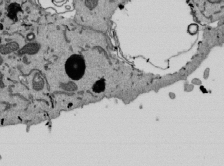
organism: Mouse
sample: ED-1 cell nuclei; centrioles